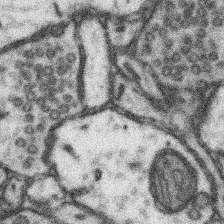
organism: Mouse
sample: Somatosensory cortex neuropil